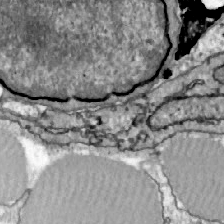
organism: Zebrafish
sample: Actinotrichia fibers